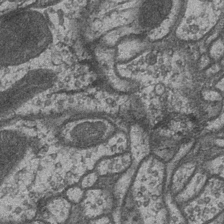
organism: Drosophila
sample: Optic medulla